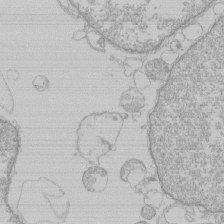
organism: Human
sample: Macrophage cells